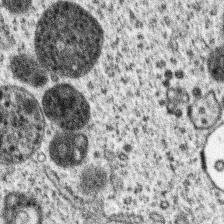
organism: Human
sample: HeLa cells